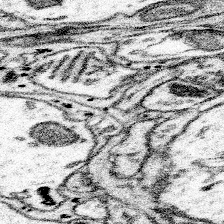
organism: Mouse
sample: Somatosensory cortex neuropil